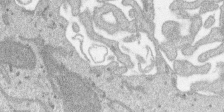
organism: Human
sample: Lung epithelial cells infected with SARS-CoV-2